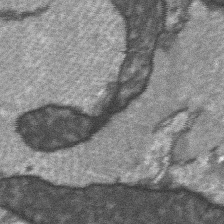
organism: C57BL Mouse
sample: Soleus